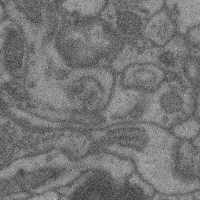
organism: Mouse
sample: Cerebral cortex